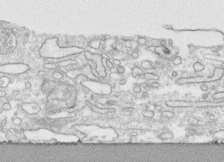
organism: Human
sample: CRL-1474